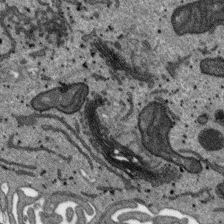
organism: Human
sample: Lung epithelial cells, uninfected (mock) control